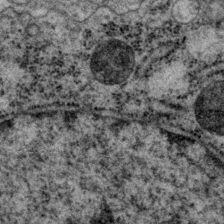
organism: P. pacificus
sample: Pharynx